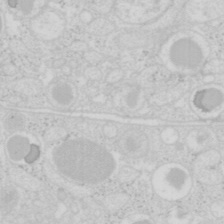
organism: Mouse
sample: Pancreas